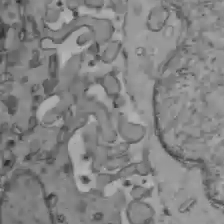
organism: C57BL Mouse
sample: Liver